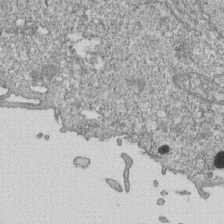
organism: Human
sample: HeLa cell HIV synapse